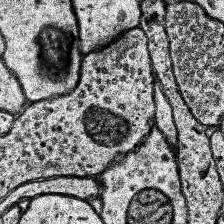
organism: Human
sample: Temporal Lobe